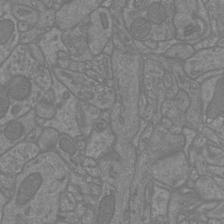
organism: Mouse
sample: Cortical neurons